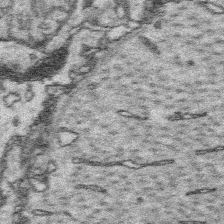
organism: Platynereis dumerilii